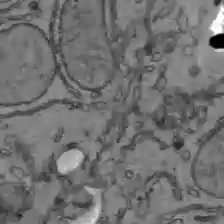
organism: C57BL Mouse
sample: Liver